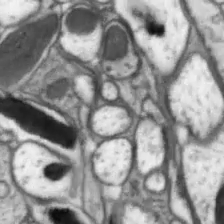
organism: Drosophila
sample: Optic lobe